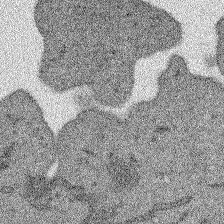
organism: Human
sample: HeLa cells